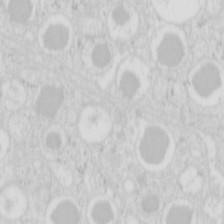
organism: Mouse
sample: Pancreas